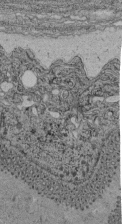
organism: C. elegans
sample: C. elegans pharynx